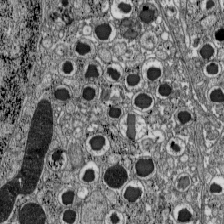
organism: C57BL Mouse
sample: Pancreatic islet